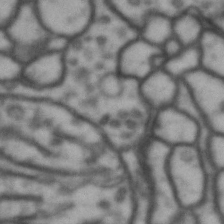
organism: Drosophila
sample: Brain